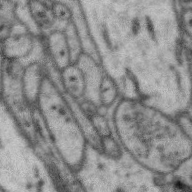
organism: Zebra finch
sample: Brain